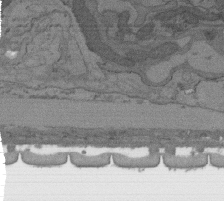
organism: C. elegans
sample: AFD neurons C. elegans